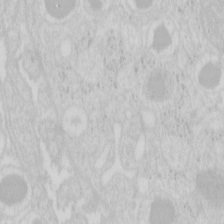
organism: Mouse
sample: Pancreas